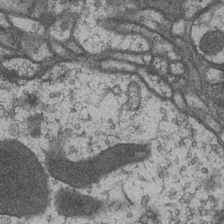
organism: Drosophila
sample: Optic medulla